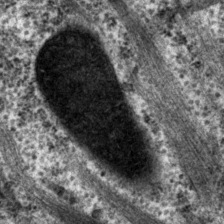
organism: P. pacificus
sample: Pharynx